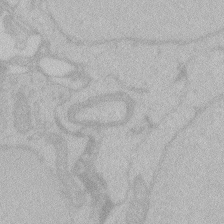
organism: Zebrafish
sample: Macrophage infected with Toxoplasma gondii